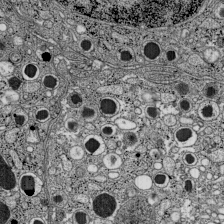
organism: C57BL Mouse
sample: Pancreatic islet